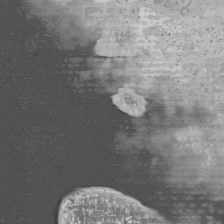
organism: Mouse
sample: Cancer cell death in ED-1 cells